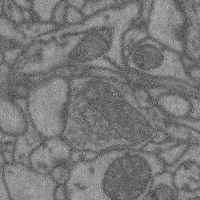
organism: Mouse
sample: Cerebral cortex